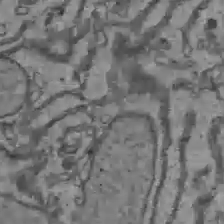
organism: C57BL Mouse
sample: Liver